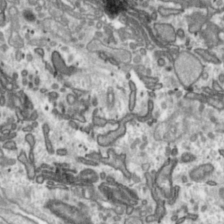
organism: Toxoplasma gondii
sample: Parasites in a vacuole inside a host cell